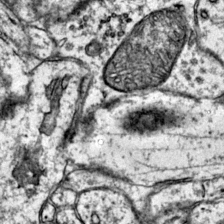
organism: Mouse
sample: Primary visual cortex